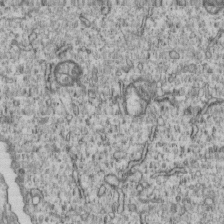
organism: Human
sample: MDA-MB-231 cells